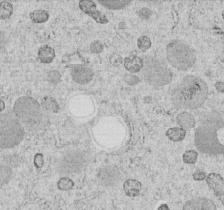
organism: C. elegans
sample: C. elegans embryo early stage